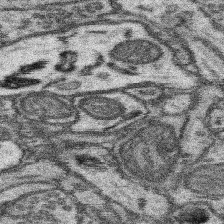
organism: Mouse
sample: Somatosensory cortex neuropil